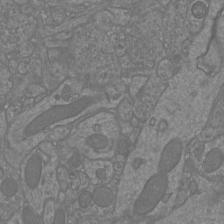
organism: Mouse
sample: Cortical neurons